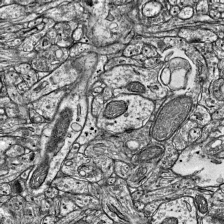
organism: Mouse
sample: Visual Cortex